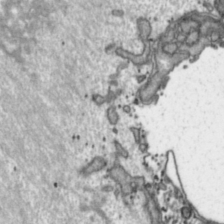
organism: Toxoplasma gondii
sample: Parasites in a vacuole inside a host cell